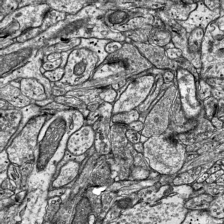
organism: Mouse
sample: Visual Cortex